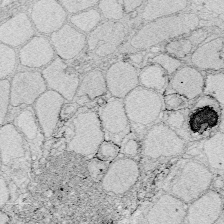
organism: Zebrafish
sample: Whole-Brain